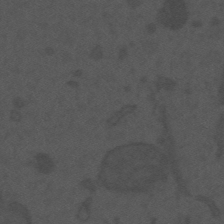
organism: Mouse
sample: Suprachiasmatic nucleus